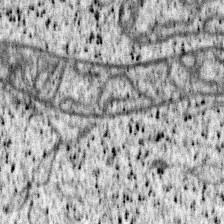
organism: Human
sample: HeLa cells